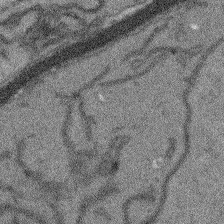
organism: Arabidopsis thaliana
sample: Root tip